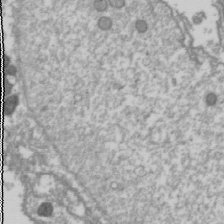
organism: Drosophila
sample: Cell division; meiosis; drosophila spermatocytes